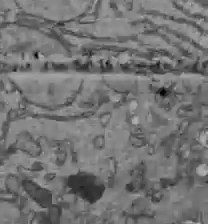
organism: C57BL Mouse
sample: Liver